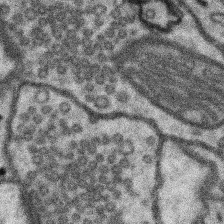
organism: Mouse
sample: Somatosensory cortex neuropil